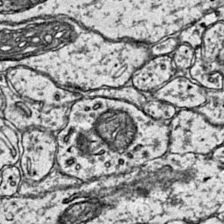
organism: Mouse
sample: Primary visual cortex